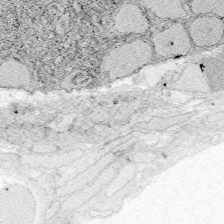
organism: Zebrafish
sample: Whole-Brain